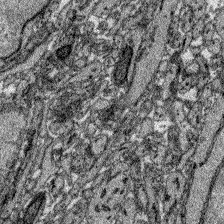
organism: Zebrafish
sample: Larval olfactory bulb